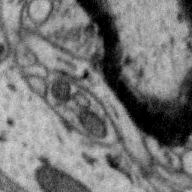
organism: Zebra finch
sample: Brain